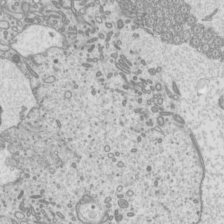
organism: Mouse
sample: Cilia; mouse epididymis